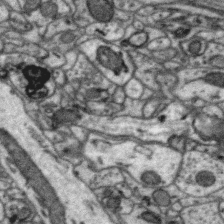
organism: Zebra finch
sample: Brain